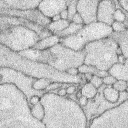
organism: Rabbit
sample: Retina